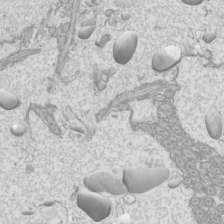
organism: Mouse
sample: Cilia; mouse epididymis